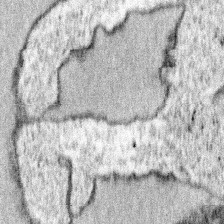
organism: Human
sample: HeLa cells